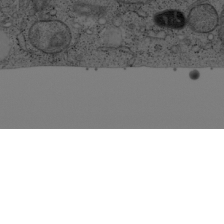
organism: African green monkey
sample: COS-7 cells